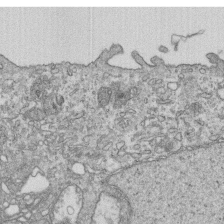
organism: Human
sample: HeLa cell HIV synapse